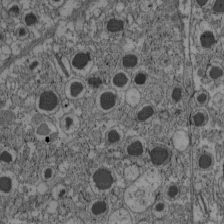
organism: C57BL Mouse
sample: Pancreatic islet